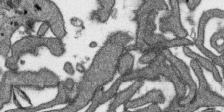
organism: Human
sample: Lung epithelial cells, uninfected (mock) control